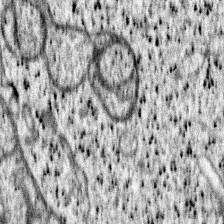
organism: Human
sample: HeLa cells